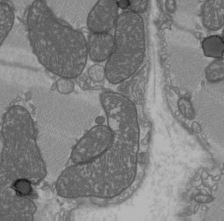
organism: C57BL Mouse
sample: Heart